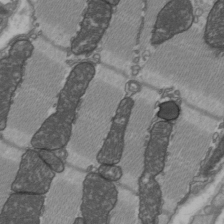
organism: C57BL Mouse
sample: Heart